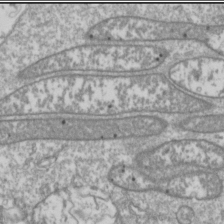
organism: Drosophila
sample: Cell division; meiosis; drosophila spermatocytes